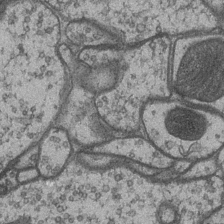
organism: Drosophila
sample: Optic medulla